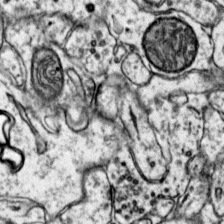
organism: Mouse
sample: Primary visual cortex